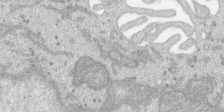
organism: Human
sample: Lung epithelial cells infected with SARS-CoV-2